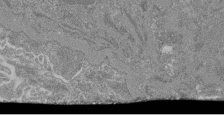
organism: Mouse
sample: Glomerulus